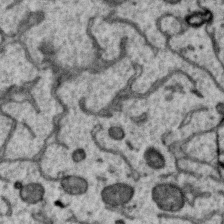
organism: Zebra finch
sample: Brain